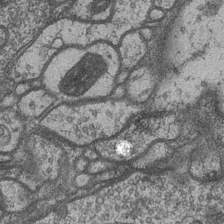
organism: Drosophila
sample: Optic medulla